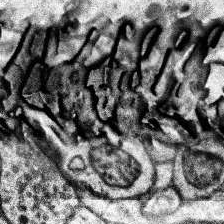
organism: Human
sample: Temporal Lobe